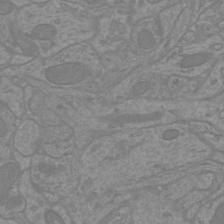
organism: Mouse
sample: Cortical neurons